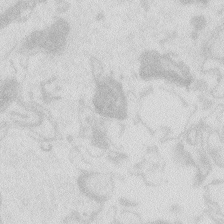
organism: Zebrafish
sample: Macrophage